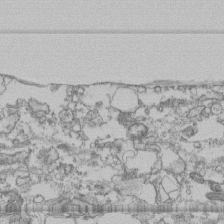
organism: Human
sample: Fibroblast cells